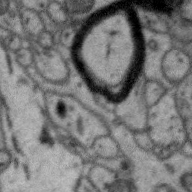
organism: Zebra finch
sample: Brain